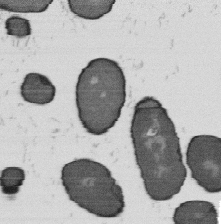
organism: B. subtilis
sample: Bacterial spore